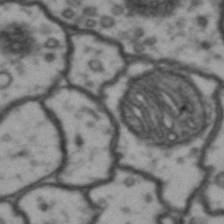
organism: Drosophila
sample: Brain